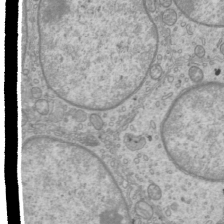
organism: Mouse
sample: Cilia; mouse epididymis